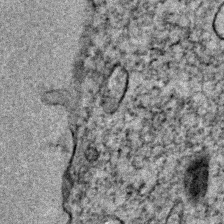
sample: Trachea